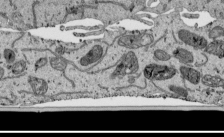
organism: Human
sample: Mitochondria in HCT116 cells